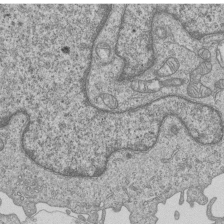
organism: Human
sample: MDA-MB-231 cells